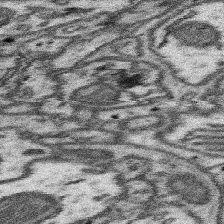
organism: Mouse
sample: Somatosensory cortex neuropil